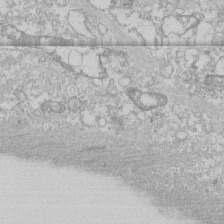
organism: Human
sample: CRL-1474